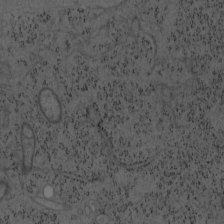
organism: Mouse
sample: OT-I killer T cells with ID8 ovarian cancer cells